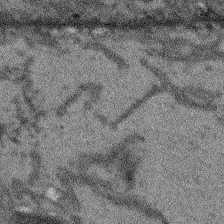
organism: Arabidopsis thaliana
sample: Root tip